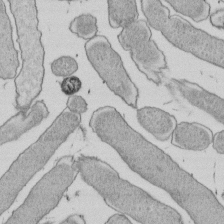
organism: E. coli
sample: Bacterial nucleoid